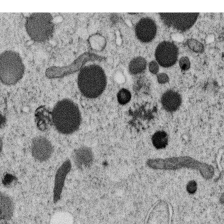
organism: C. elegans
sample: C. elegans oocyte; sperm cells